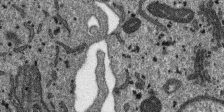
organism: Human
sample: Lung epithelial cells infected with SARS-CoV-2